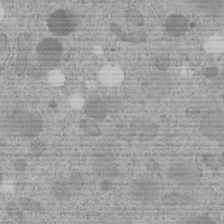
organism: C. elegans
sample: C. elegans embryo early stage